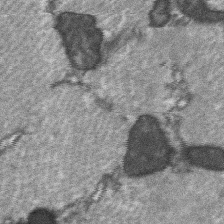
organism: C57BL Mouse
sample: Soleus